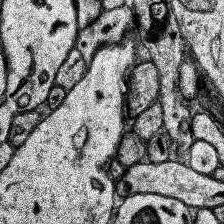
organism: Human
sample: Temporal Lobe